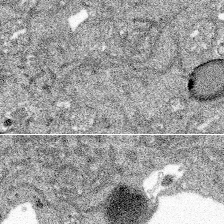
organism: Spongilla lacustris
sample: Multiple